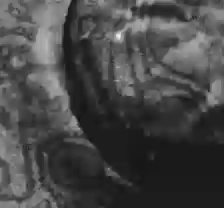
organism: C57BL Mouse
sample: Liver